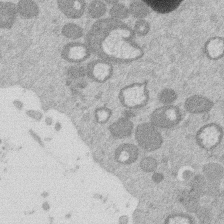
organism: Mouse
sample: Dividing mouse embryo 1 cell stage